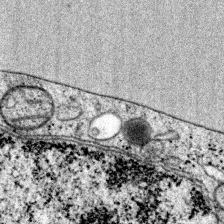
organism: Human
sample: HeLa cells